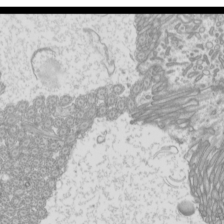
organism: Mouse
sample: Cilia; mouse epididymis